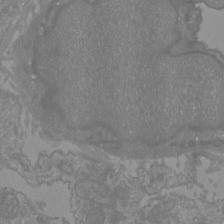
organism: Mouse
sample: Cortical neurons